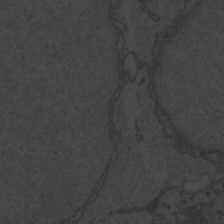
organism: Zebrafish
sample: Macrophage infected with Toxoplasma gondii